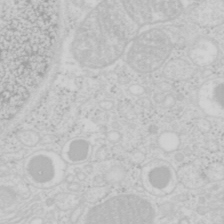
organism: Mouse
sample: Pancreas